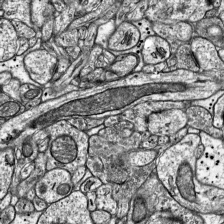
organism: Mouse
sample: Visual Cortex